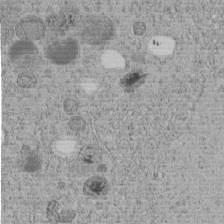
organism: C. elegans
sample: C. elegans embryo early stage